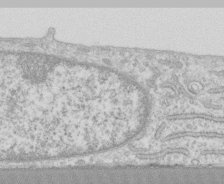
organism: Human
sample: CRL-1474